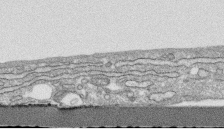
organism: Human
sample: CRL-1474